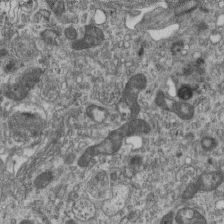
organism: Mouse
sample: Centriole in ependymal cells